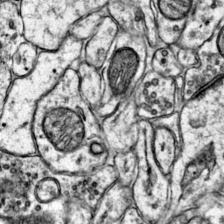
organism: Mouse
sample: Primary visual cortex